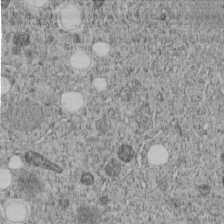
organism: C. elegans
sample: C. elegans embryo early stage